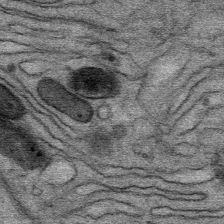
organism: Mouse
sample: Mouse Salivary gland